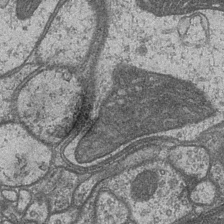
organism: Drosophila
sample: Optic medulla